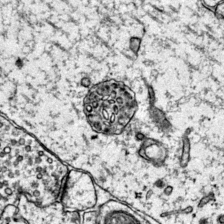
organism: Mouse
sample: Primary visual cortex